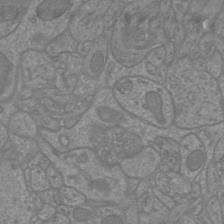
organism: Mouse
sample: Cortical neurons